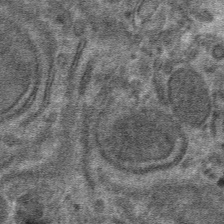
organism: Mouse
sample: Mouse hepatocytes